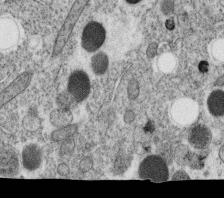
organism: C. elegans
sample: C. elegans oocyte; sperm cells